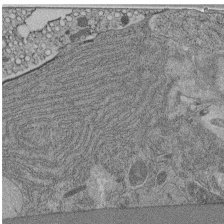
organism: C. elegans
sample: C. elegans pharynx